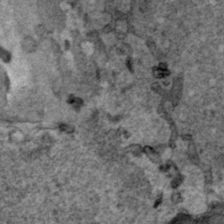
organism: Human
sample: Mitochondria in HCT116 cells